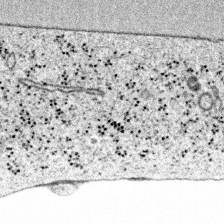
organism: Human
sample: HeLa cells